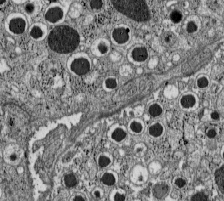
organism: C57BL Mouse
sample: Pancreatic islet